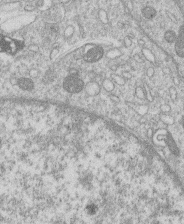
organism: Human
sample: Macrophage cells